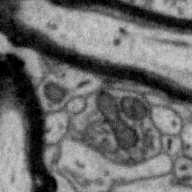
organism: Zebra finch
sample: Brain